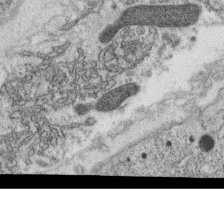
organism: C. elegans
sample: C. elegans oocyte; sperm cells